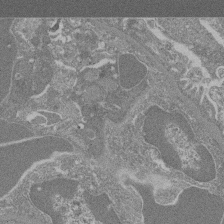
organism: Mouse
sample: Glomerulus